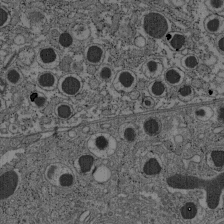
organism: C57BL Mouse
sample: Pancreatic islet